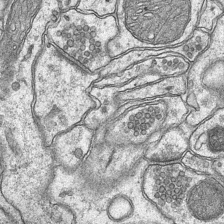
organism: Mouse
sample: CA1 Hippocampus